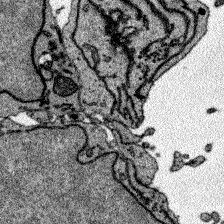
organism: Zebrafish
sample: Larval olfactory bulb